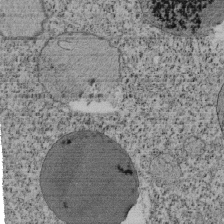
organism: Tetrahymena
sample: Cilia in tetrahymena